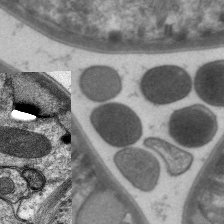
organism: C. elegans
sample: Pharynx